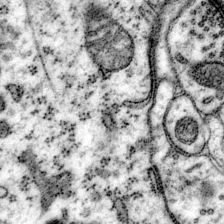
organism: Mouse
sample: Primary visual cortex